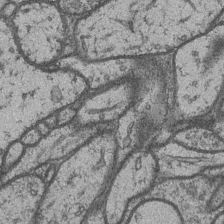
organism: Drosophila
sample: Optic medulla